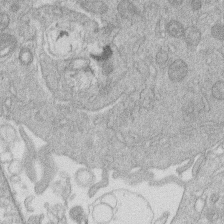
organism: Human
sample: Macrophage cells